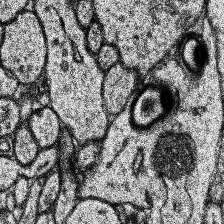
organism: Human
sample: Temporal Lobe